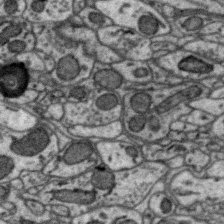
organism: Zebra finch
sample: Brain